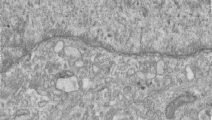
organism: Human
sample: Centriole in RPE cells